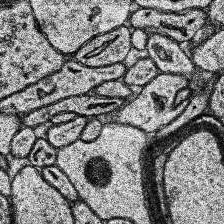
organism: Human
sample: Temporal Lobe